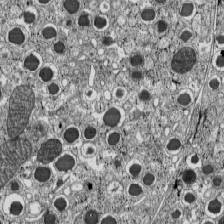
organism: C57BL Mouse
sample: Pancreatic islet